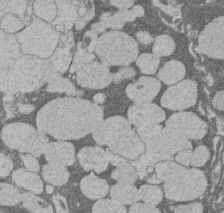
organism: Rat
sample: Salivary granule